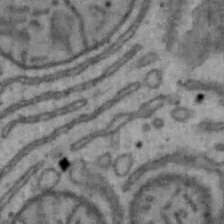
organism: Mouse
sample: Liver